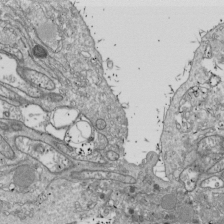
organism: Drosophila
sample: Cell division; meiosis; drosophila spermatocytes